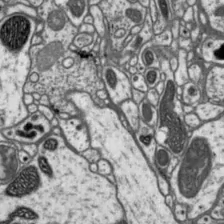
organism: Drosophila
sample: Protocerebral bridge